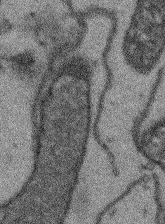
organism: Arabidopsis thaliana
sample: Root tip